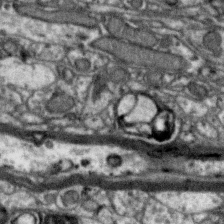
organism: Zebra finch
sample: Brain